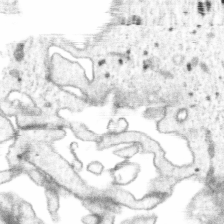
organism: Human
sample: HeLa cells